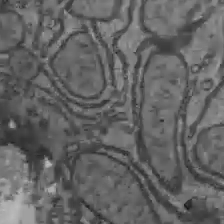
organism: C57BL Mouse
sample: Liver